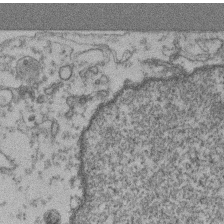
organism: Mouse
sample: T cell stromal cell synapse